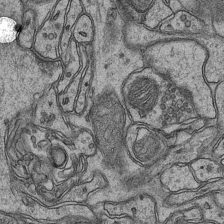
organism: Mouse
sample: CA1 Hippocampus